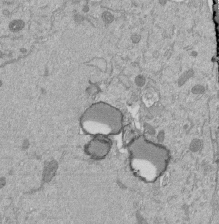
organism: Mouse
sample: ED-1 cell nuclei; centrioles